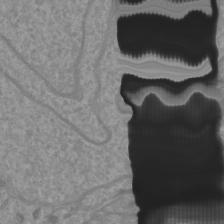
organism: Mouse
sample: Cortical neurons